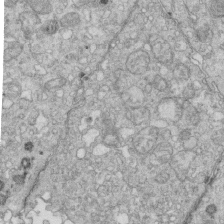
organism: Mouse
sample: Multiciliated cells